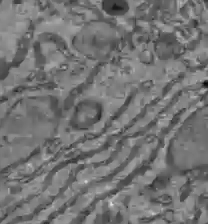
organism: C57BL Mouse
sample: Liver